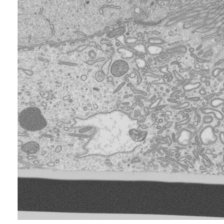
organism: Mouse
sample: Cilia; mouse epididymis